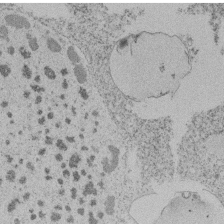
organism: Tetrahymena